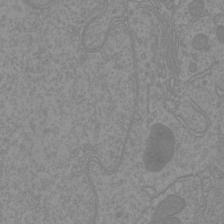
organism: Mouse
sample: Cortical neurons